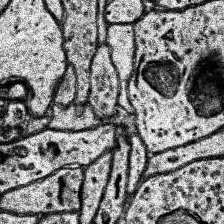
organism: Human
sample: Temporal Lobe